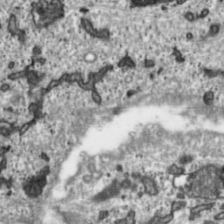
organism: Toxoplasma gondii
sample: Parasites in a vacuole inside a host cell